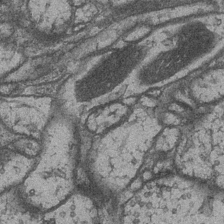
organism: Drosophila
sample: Optic medulla